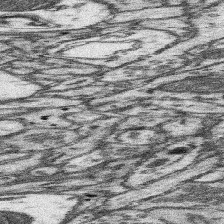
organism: Mouse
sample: Somatosensory cortex neuropil